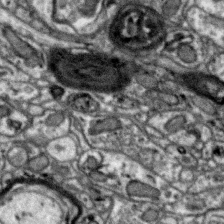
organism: Zebra finch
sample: Brain